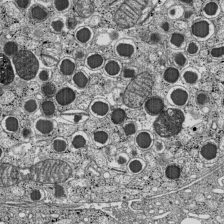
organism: C57BL Mouse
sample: Pancreatic islet